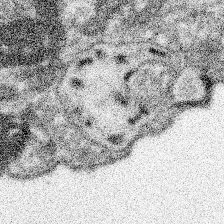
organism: Spongilla lacustris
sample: Neuroid cell